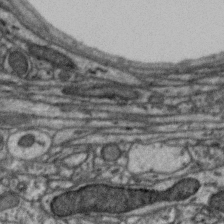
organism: Zebra finch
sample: Brain